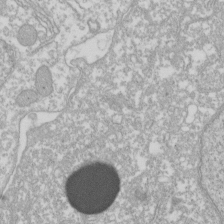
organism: Xenopus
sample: Cilia; centrioles in frog embryo cells